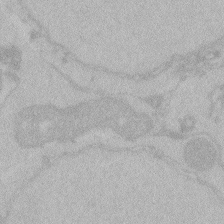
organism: Zebrafish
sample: Macrophage infected with Toxoplasma gondii